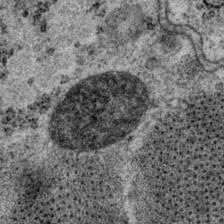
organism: P. pacificus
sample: Pharynx